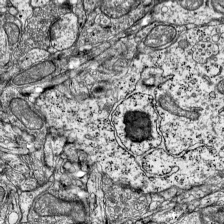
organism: Mouse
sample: Visual Cortex